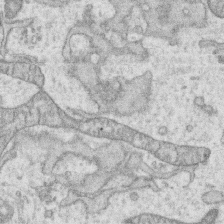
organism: Human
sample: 1205lu cells